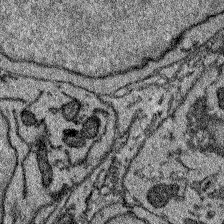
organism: Zebrafish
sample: Larval olfactory bulb